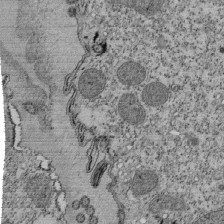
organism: Tetrahymena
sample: Cilia in tetrahymena